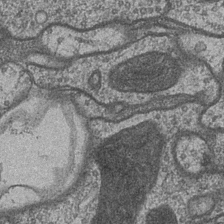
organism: Drosophila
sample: Optic medulla